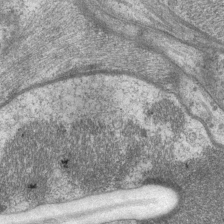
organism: P. pacificus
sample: Pharynx